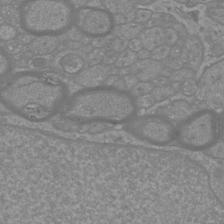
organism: Mouse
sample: Cortical neurons